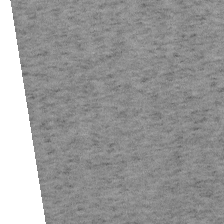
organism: Mouse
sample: OT-I killer T cells with ID8 ovarian cancer cells